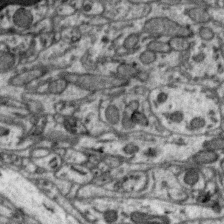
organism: Zebra finch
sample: Brain